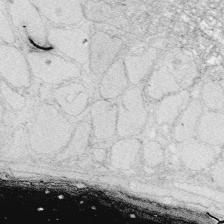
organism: Zebrafish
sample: Whole-Brain